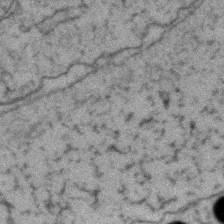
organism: Zebrafish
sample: Zebrafish embryo